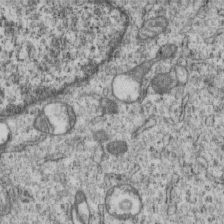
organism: Human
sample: MDA-MB-231 cells